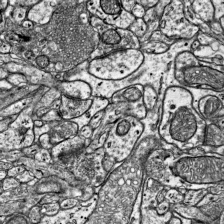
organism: Mouse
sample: Visual Cortex